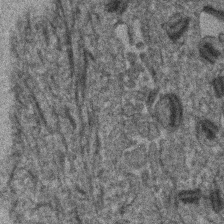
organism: Human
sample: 1205lu cells